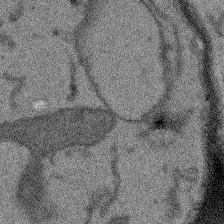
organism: Arabidopsis thaliana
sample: Root tip